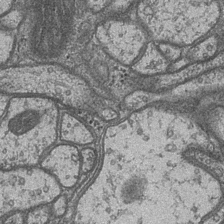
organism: Drosophila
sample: Optic medulla